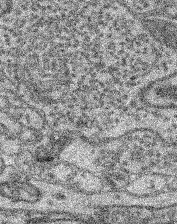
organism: Mouse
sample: Retina